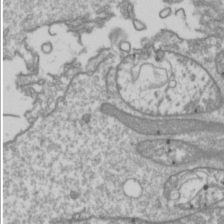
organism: Drosophila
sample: Cell division; meiosis; drosophila spermatocytes